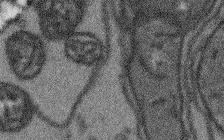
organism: Arabidopsis thaliana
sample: Root tip